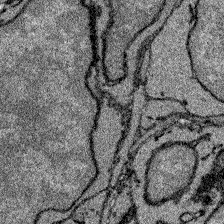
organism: Zebrafish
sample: Larval olfactory bulb